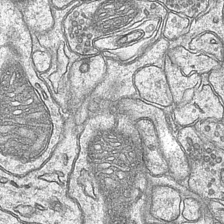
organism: Mouse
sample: CA1 Hippocampus